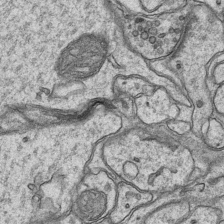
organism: Mouse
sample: CA1 Hippocampus